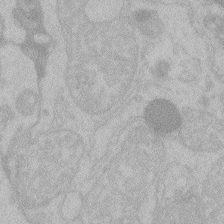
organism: Zebrafish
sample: Macrophage infected with Toxoplasma gondii